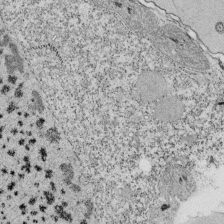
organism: Tetrahymena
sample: Cilia in tetrahymena